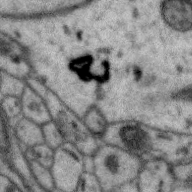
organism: Zebra finch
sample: Brain